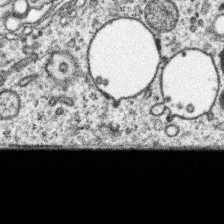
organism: Human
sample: HeLa cells